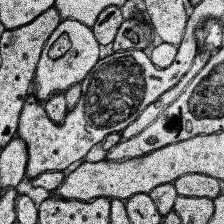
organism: Human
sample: Temporal Lobe